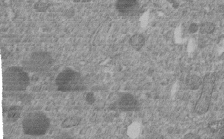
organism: C. elegans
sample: C. elegans embryo early stage